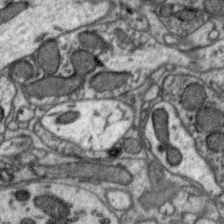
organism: Zebra finch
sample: Brain